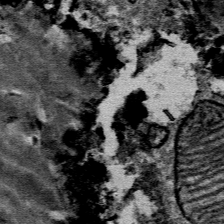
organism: Mouse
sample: Mouse Salivary gland